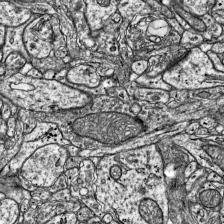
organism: Mouse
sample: Visual Cortex